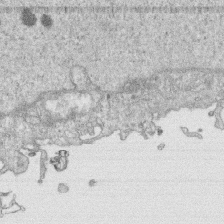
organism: Human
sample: HeLa cell HIV synapse